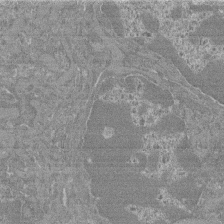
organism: Mouse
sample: Glomerulus